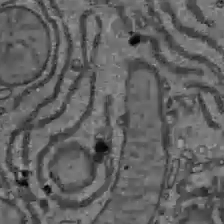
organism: C57BL Mouse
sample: Liver